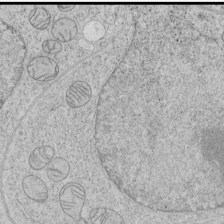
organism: Human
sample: Mitochondria in HCT116 cells